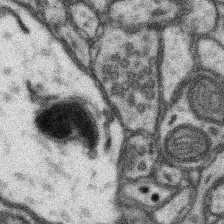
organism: Mouse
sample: Somatosensory cortex neuropil